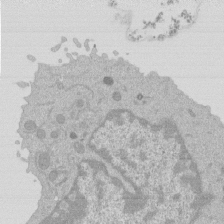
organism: Mouse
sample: Activated Pmel transgenic CD8+ T Cells